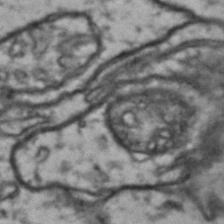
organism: Drosophila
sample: Brain